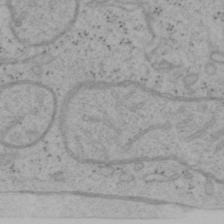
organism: Human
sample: HeLa cells